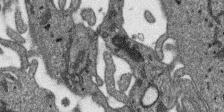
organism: Human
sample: Lung epithelial cells infected with SARS-CoV-2